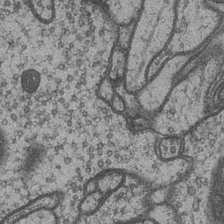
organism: Drosophila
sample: Optic medulla